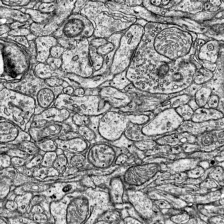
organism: Mouse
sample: Visual Cortex